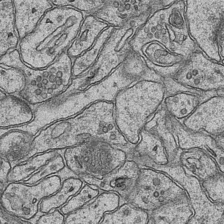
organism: Mouse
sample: CA1 Hippocampus